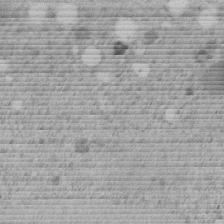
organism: C. elegans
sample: C. elegans embryo early stage